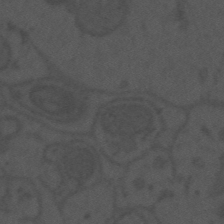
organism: Mouse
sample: Suprachiasmatic nucleus